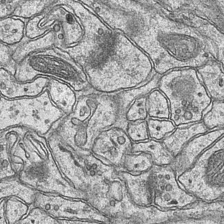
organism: Mouse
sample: CA1 Hippocampus